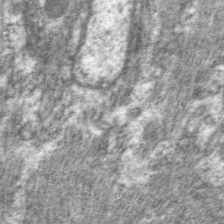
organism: C. elegans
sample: Pharynx